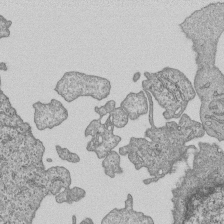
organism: Human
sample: MDA-MB-231 cells